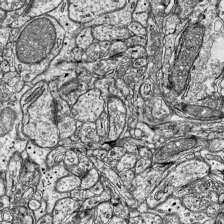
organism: Mouse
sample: Visual Cortex